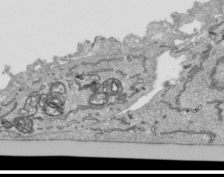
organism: Human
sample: Mitochondria in HCT116 cells